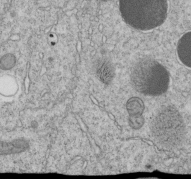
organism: C. elegans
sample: C. elegans embryo early stage